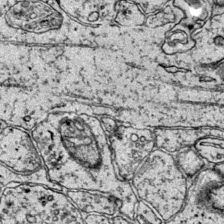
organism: Mouse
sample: Primary visual cortex